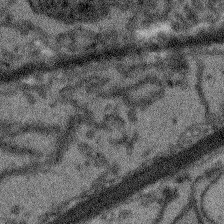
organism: Arabidopsis thaliana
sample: Root tip